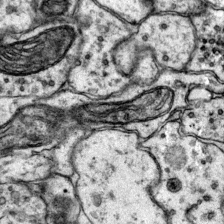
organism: Mouse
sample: Primary visual cortex